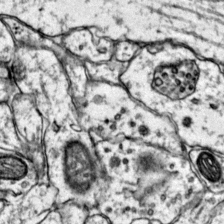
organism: Mouse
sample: Primary visual cortex